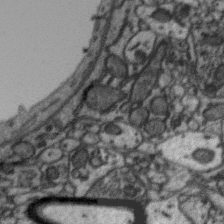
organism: Zebra finch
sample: Brain